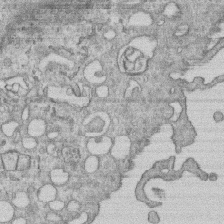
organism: Human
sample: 1205lu cells